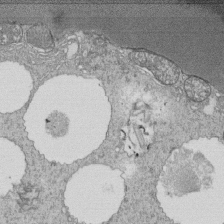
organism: Tetrahymena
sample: Cilia in tetrahymena